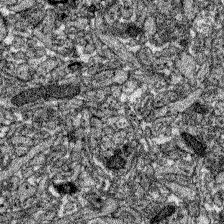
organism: Zebrafish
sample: Larval olfactory bulb